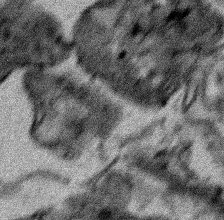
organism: Human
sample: Mitochondria in HCT116 cells